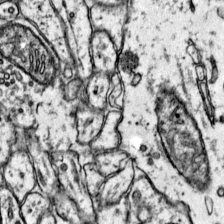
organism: Mouse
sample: Primary visual cortex